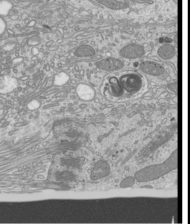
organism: Mouse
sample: Cilia; mouse epididymis